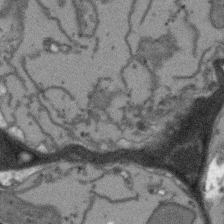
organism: Arabidopsis thaliana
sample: Root tip